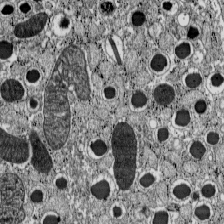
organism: C57BL Mouse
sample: Pancreatic islet